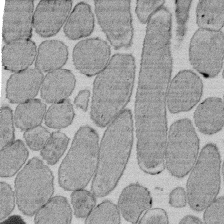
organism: E. coli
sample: Bacterial nucleoid